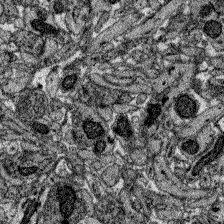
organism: Zebrafish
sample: Larval olfactory bulb